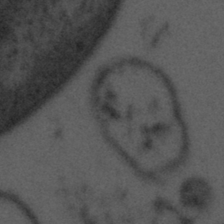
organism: Tuwongella immobilis